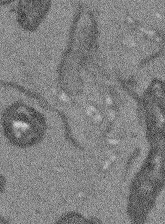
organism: Arabidopsis thaliana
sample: Root tip